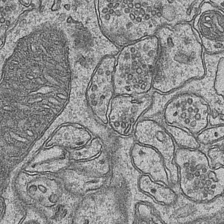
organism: Mouse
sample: CA1 Hippocampus